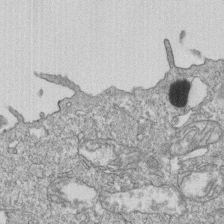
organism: Human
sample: HeLa cell HIV synapse